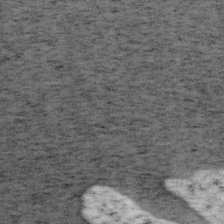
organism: Mouse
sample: OT-I killer T cells with ID8 ovarian cancer cells